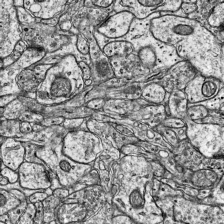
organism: Mouse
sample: Visual Cortex